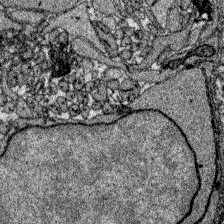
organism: Zebrafish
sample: Larval olfactory bulb